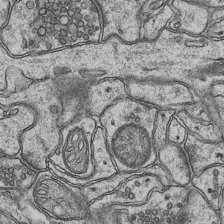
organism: Mouse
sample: CA1 Hippocampus